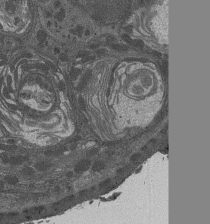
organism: Drosophila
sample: Antenna